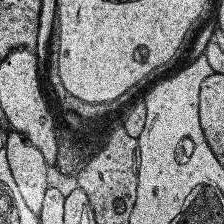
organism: Human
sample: Temporal Lobe